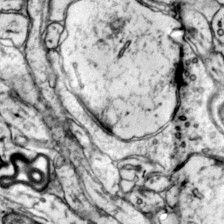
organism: Mouse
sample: Primary visual cortex